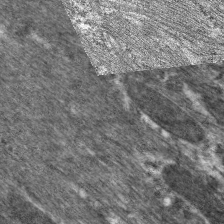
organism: C. elegans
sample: Pharynx